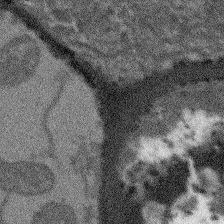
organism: Arabidopsis thaliana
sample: Root tip